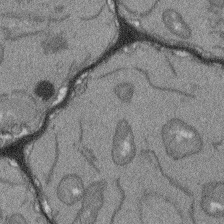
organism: Arabidopsis thaliana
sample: Root tip